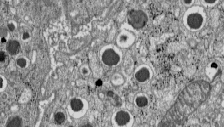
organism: C57BL Mouse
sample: Pancreatic islet